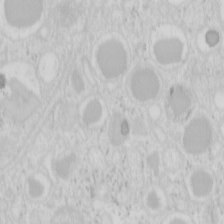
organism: Mouse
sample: Pancreas